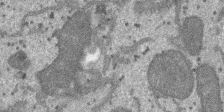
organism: Human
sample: Lung epithelial cells infected with SARS-CoV-2